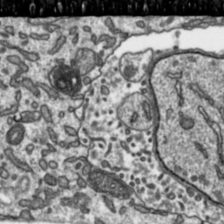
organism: Toxoplasma gondii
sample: Parasites in a vacuole inside a host cell